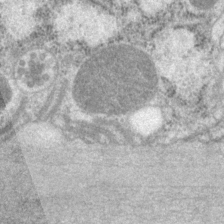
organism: P. pacificus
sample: Pharynx